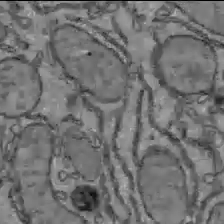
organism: C57BL Mouse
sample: Liver